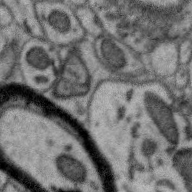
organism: Zebra finch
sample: Brain